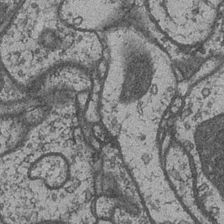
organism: Drosophila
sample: Optic medulla